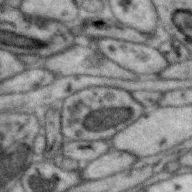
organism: Zebra finch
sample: Brain